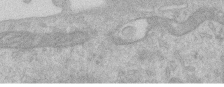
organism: Human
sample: Centriole in RPE cells